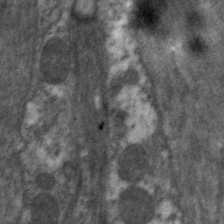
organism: C. elegans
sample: Pharynx